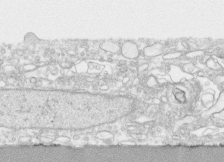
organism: Human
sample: CRL-1474